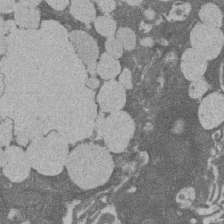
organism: Rat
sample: Salivary granule